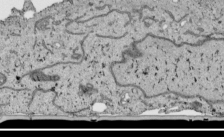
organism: Human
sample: Mitochondria in HCT116 cells